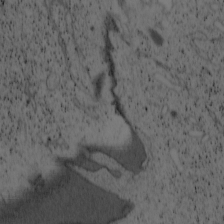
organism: African green monkey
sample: COS-7 cells